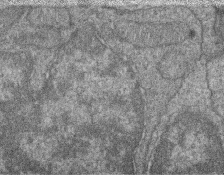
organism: Zebrafish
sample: Cilia; retinal pigment epithelium